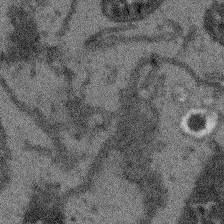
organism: Arabidopsis thaliana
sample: Root tip